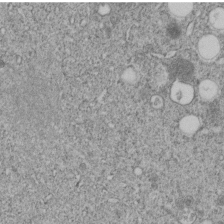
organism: C. elegans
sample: C. elegans embryo early stage